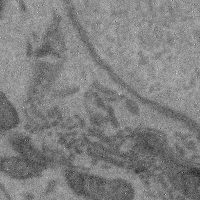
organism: Mouse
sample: Cerebral cortex